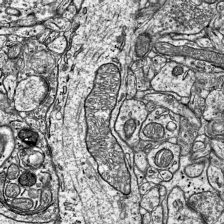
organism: Mouse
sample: Visual Cortex